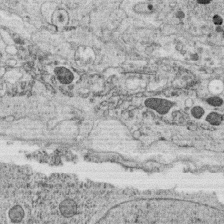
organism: C. elegans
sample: C. elegans oocyte; sperm cells